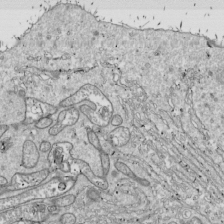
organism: Drosophila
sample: Cell division; meiosis; drosophila spermatocytes